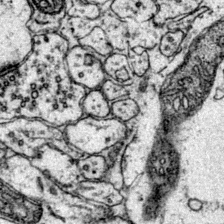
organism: Mouse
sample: Primary visual cortex